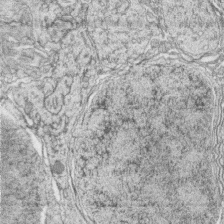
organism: Zebrafish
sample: synaptic ribbons in rod cells and cone cells